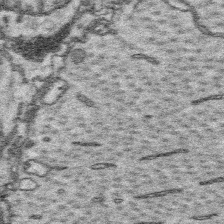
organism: Platynereis dumerilii